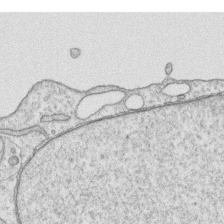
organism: Human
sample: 1205lu cells